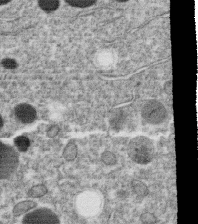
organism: C. elegans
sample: C. elegans oocyte; sperm cells